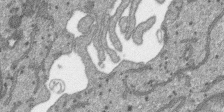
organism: Human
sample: Lung epithelial cells infected with SARS-CoV-2